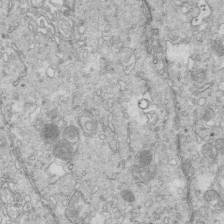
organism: Mouse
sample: Multiciliated cells